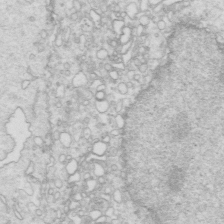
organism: Mouse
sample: Multiciliated cells